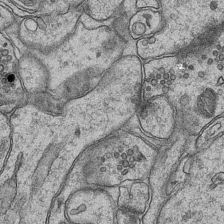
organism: Mouse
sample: CA1 Hippocampus